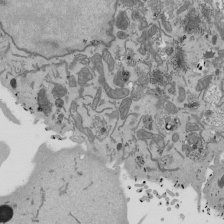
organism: Mouse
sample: ED-1 cell nuclei; centrioles